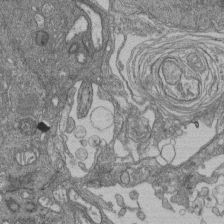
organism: Human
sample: Retinal organoid Rod and Cone cells